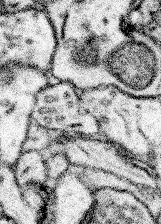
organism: Mouse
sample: Somatosensory cortex neuropil